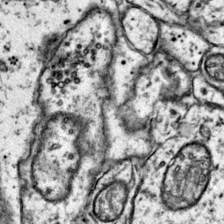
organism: Mouse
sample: Primary visual cortex